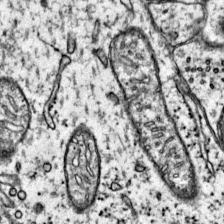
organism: Mouse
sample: Primary visual cortex